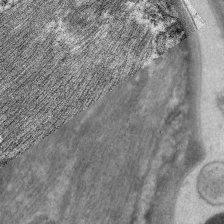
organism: C. elegans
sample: Pharynx